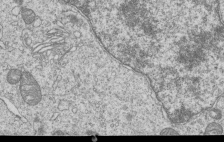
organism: Human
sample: MDA-MB-231 cells